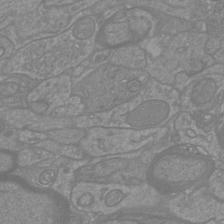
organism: Mouse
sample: Cortical neurons